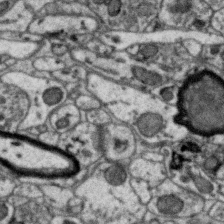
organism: Zebra finch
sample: Brain